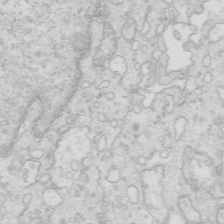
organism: Mouse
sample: Multiciliated cells